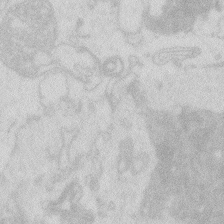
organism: Zebrafish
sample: Macrophage